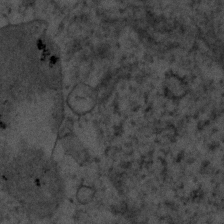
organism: Human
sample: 1205lu cells